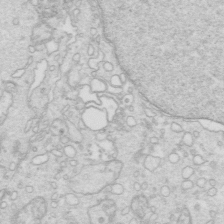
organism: Mouse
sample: Multiciliated cells